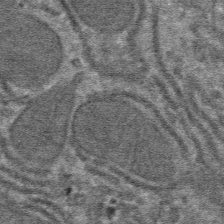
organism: Mouse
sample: Mouse hepatocytes